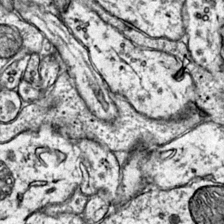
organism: Mouse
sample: Primary visual cortex